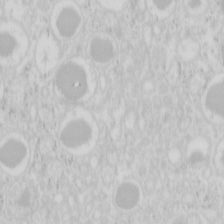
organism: Mouse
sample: Pancreas